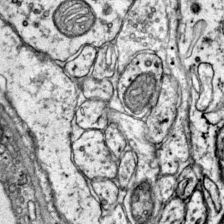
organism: Mouse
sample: Primary visual cortex